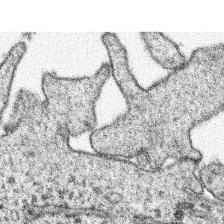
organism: Human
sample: HeLa cells